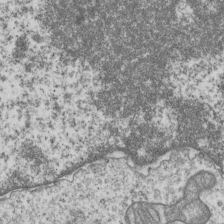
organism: Human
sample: MDA-MB-231 cells